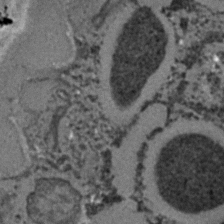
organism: C. elegans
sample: C. elegans embryo